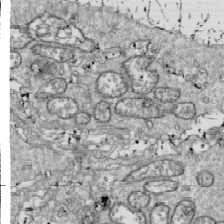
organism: Drosophila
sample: Cell division; meiosis; drosophila spermatocytes